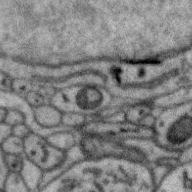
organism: Zebra finch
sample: Brain